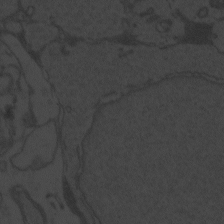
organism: Zebrafish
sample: Macrophage infected with Toxoplasma gondii